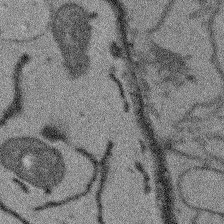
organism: Arabidopsis thaliana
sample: Root tip